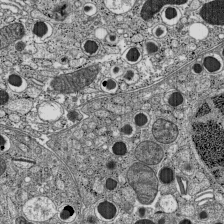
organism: C57BL Mouse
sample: Pancreatic islet